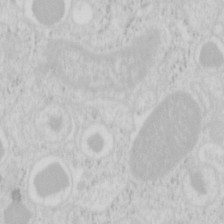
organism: Mouse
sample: Pancreas